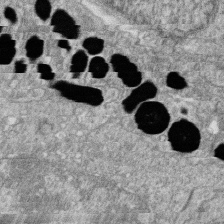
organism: Zebrafish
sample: Cilia; retinal pigment epithelium